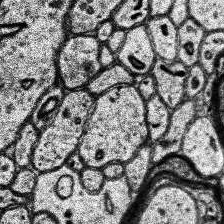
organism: Human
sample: Temporal Lobe